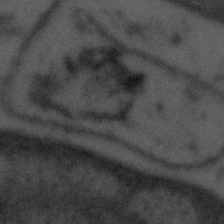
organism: Tuwongella immobilis